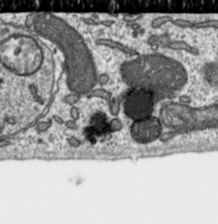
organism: Toxoplasma gondii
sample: Parasites in a vacuole inside a host cell